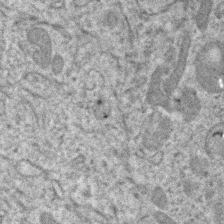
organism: Human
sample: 1205lu cells